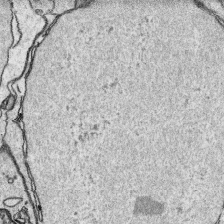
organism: Platynereis dumerilii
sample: Parapodia